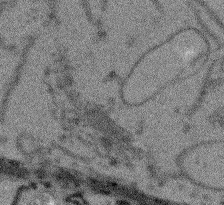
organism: Arabidopsis thaliana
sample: Root tip